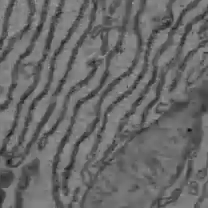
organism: C57BL Mouse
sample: Liver